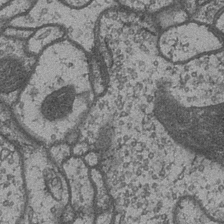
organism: Drosophila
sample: Optic medulla